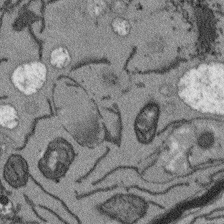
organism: Arabidopsis thaliana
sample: Root tip